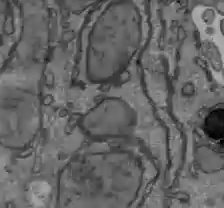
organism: C57BL Mouse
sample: Liver